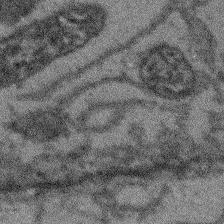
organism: Arabidopsis thaliana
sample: Root tip